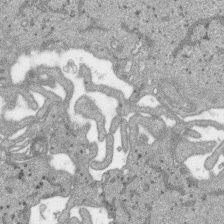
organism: Human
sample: Lung epithelial cells infected with SARS-CoV-2